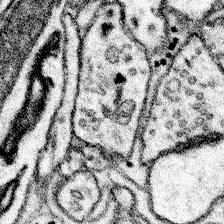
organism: Mouse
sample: Somatosensory cortex neuropil